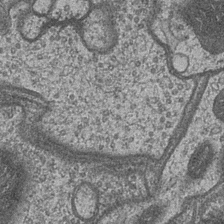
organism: Drosophila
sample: Optic medulla